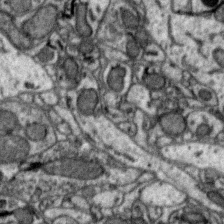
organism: Zebra finch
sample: Brain